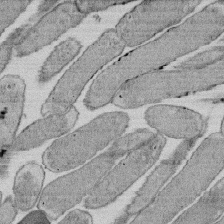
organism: E. coli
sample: Bacterial nucleoid